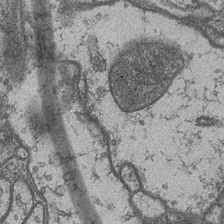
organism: Drosophila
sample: Optic medulla